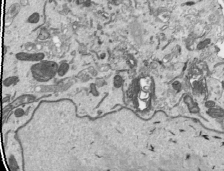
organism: Human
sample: Mitochondria in HCT116 cells